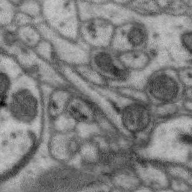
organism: Zebra finch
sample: Brain